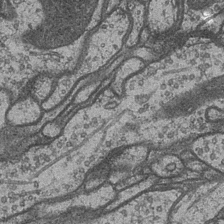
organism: Drosophila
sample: Optic medulla